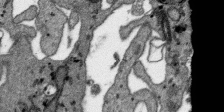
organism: Human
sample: Lung epithelial cells, uninfected (mock) control